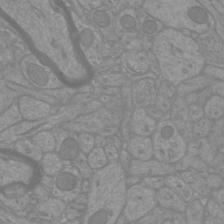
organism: Mouse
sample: Cortical neurons